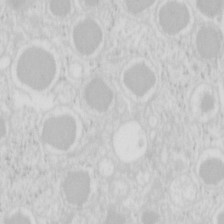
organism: Mouse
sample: Pancreas